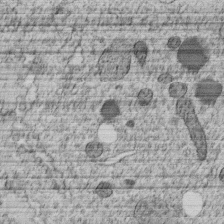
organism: C. elegans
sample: C. elegans embryo early stage